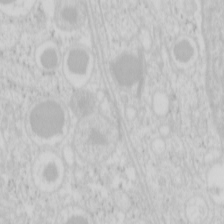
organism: Mouse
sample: Pancreas